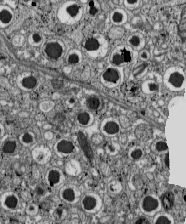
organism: C57BL Mouse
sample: Pancreatic islet